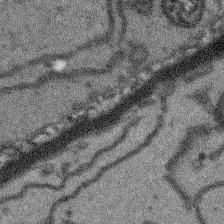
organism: Arabidopsis thaliana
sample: Root tip